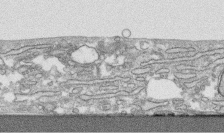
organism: Human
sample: CRL-1474